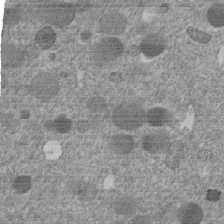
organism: C. elegans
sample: C. elegans embryo early stage